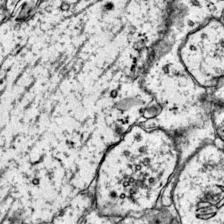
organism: Mouse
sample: Primary visual cortex